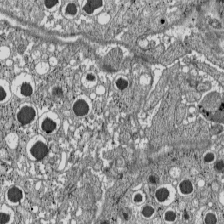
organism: C57BL Mouse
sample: Pancreatic islet